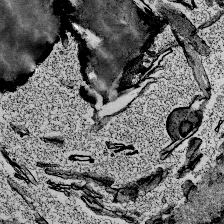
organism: Mouse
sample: Mouse Salivary gland